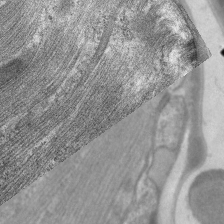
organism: C. elegans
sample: Pharynx